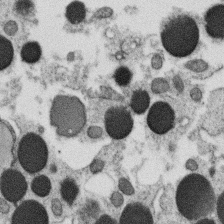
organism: C. elegans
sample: C. elegans oocyte; sperm cells